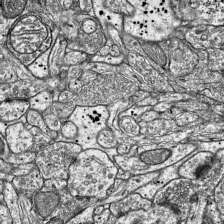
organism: Mouse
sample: Visual Cortex